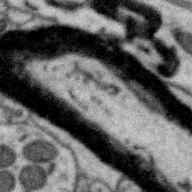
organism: Zebra finch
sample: Brain